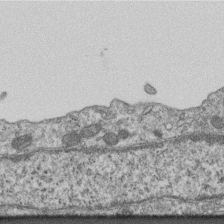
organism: Mouse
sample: Centriole in ependymal cells